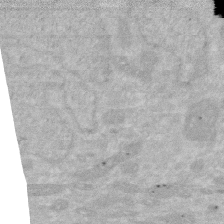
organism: Human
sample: HIV infected U937 cells